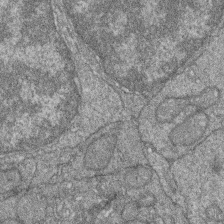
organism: Zebrafish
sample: Cilia; retinal pigment epithelium